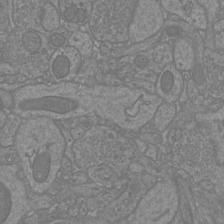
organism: Mouse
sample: Cortical neurons